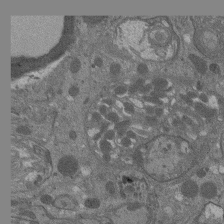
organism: Drosophila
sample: Antenna